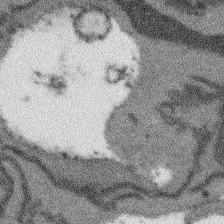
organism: Arabidopsis thaliana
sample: Root tip